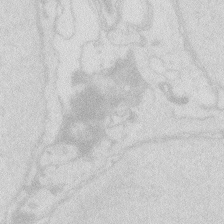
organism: Zebrafish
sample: Macrophage